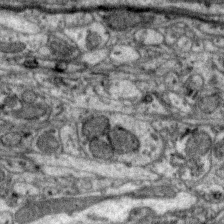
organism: Zebra finch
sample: Brain